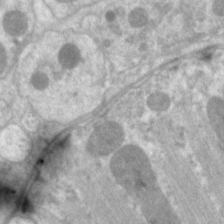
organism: C. elegans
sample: Pharynx